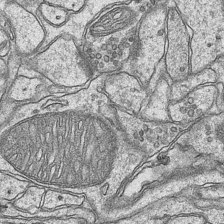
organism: Mouse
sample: CA1 Hippocampus